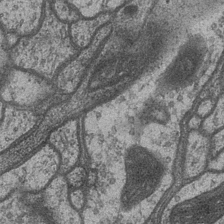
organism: Drosophila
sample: Optic medulla